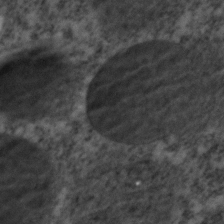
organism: C. elegans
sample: C. elegans embryo